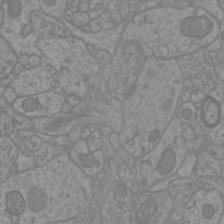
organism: Mouse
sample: Cortical neurons